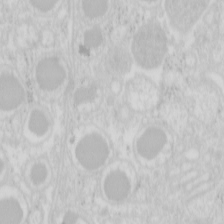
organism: Mouse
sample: Pancreas